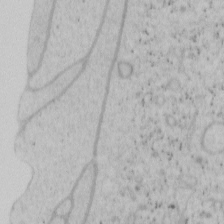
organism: Human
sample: HeLa cells